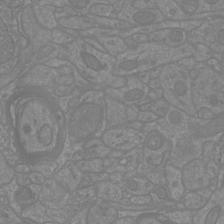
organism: Mouse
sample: Cortical neurons